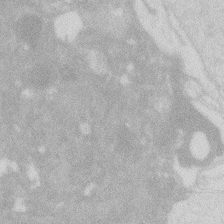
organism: Zebrafish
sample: Macrophage